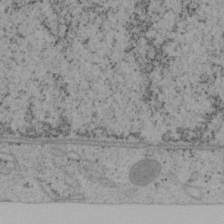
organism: Human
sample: HeLa cells